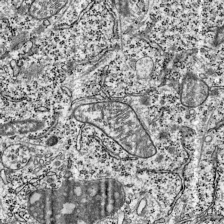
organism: Mouse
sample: Visual Cortex